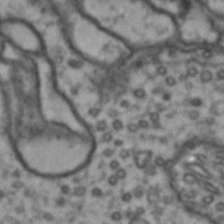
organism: Drosophila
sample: Brain